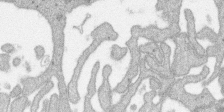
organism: Human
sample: Lung epithelial cells infected with SARS-CoV-2